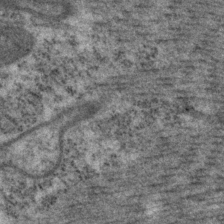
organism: P. pacificus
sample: Pharynx